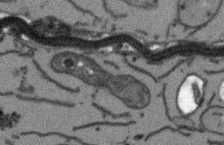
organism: Arabidopsis thaliana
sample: Root tip